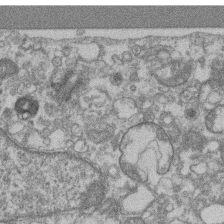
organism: Mouse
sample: T cell stromal cell synapse